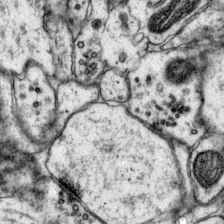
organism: Mouse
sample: Primary visual cortex